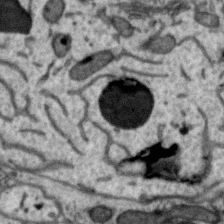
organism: Zebra finch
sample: Brain